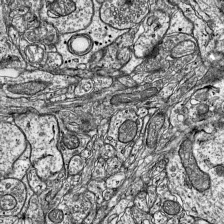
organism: Mouse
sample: Visual Cortex